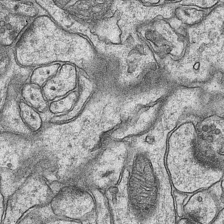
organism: Mouse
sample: CA1 Hippocampus